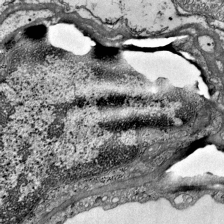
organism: Mouse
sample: Visual Cortex